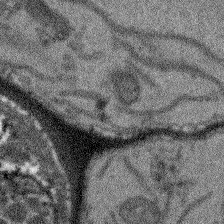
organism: Arabidopsis thaliana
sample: Root tip